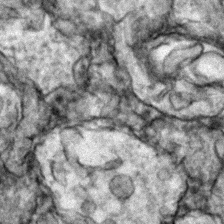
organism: Zebrafish